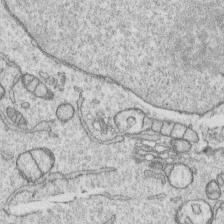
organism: Human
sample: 1205lu cells